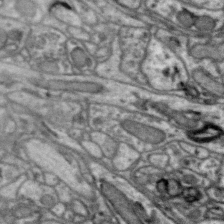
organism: Zebra finch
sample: Brain